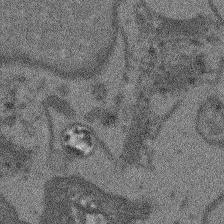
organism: Arabidopsis thaliana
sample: Root tip